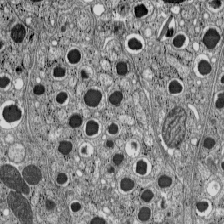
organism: C57BL Mouse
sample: Pancreatic islet